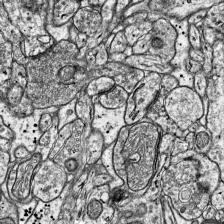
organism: Mouse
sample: Visual Cortex